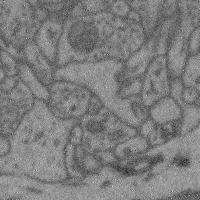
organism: Mouse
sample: Cerebral cortex